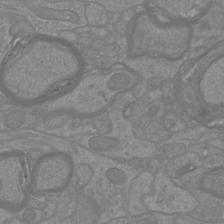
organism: Mouse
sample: Cortical neurons